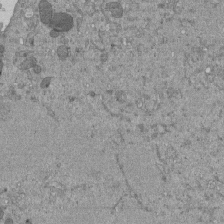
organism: Mouse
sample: ED-1 cell nuclei; centrioles